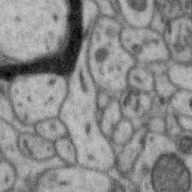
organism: Zebra finch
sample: Brain